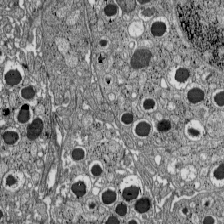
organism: C57BL Mouse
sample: Pancreatic islet